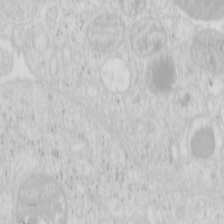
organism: Mouse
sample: Pancreas